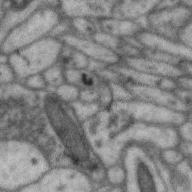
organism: Zebra finch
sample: Brain